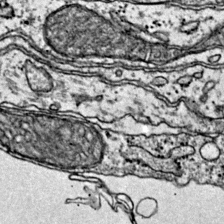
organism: Mouse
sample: Primary visual cortex